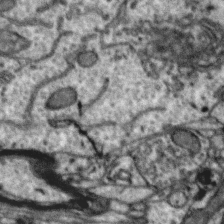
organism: Zebra finch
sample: Brain